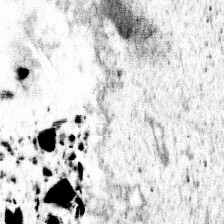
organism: Human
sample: HeLa cells